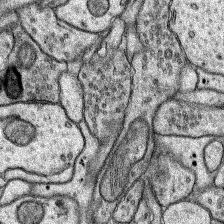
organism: Rat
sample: Hippocampus